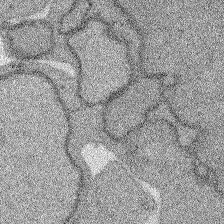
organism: Human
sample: HeLa cells